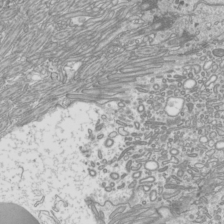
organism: Mouse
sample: Cilia; mouse epididymis